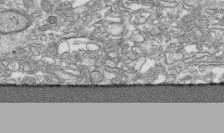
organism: Human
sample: CRL-1474